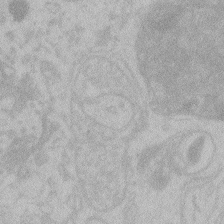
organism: Zebrafish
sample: Macrophage infected with Toxoplasma gondii